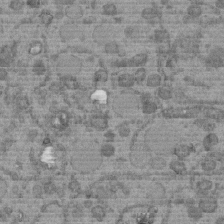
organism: C. elegans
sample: C. elegans embryo early stage